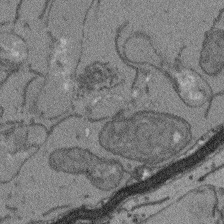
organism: Arabidopsis thaliana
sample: Root tip